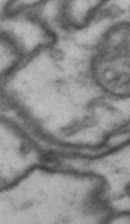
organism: Drosophila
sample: Brain